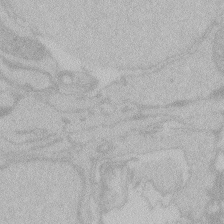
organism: Zebrafish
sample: Macrophage infected with Toxoplasma gondii